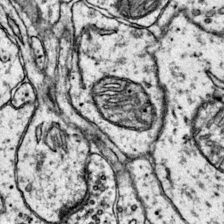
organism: Mouse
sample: Primary visual cortex